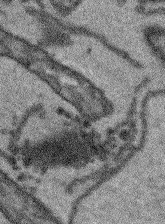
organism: Arabidopsis thaliana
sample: Root tip